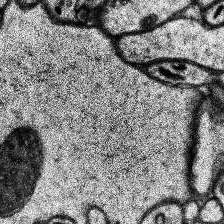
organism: Human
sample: Temporal Lobe